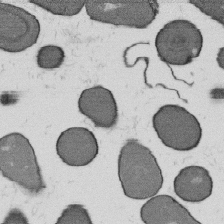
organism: B. subtilis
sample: Bacterial spore